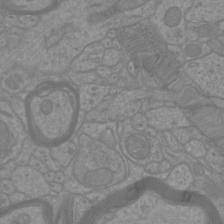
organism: Mouse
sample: Cortical neurons